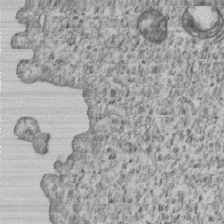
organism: Human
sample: MDA-MB-231 cells